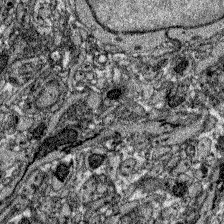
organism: Zebrafish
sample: Larval olfactory bulb